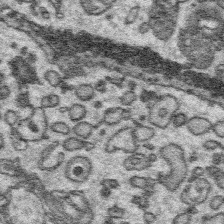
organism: Platynereis dumerilii